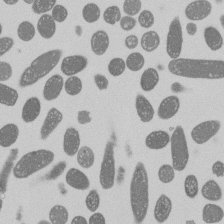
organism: E. coli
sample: Bacterial nucleoid